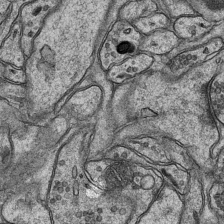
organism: Mouse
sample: CA1 Hippocampus